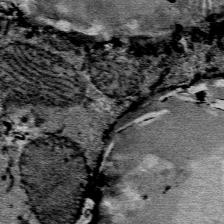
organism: Mouse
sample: Mouse Salivary gland